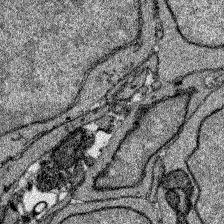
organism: Zebrafish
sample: Larval olfactory bulb